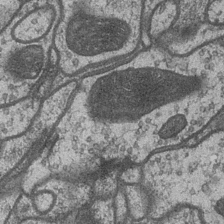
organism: Drosophila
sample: Optic medulla